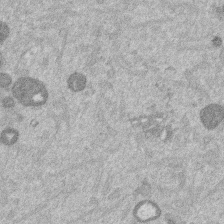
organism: Mouse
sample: Dividing mouse embryo 1 cell stage